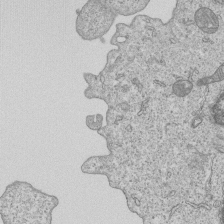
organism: Human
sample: MDA-MB-231 cells